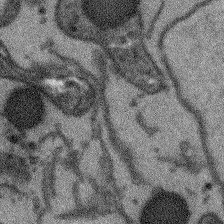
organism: Arabidopsis thaliana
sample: Root tip